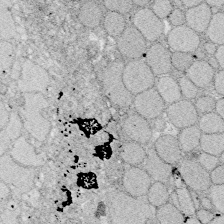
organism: Zebrafish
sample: Whole-Brain